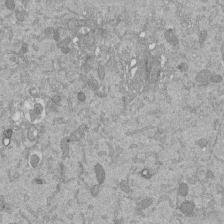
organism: Mouse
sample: ED-1 cell nuclei; centrioles